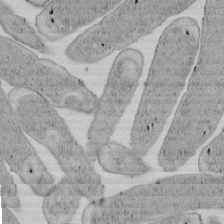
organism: E. coli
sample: Bacterial nucleoid